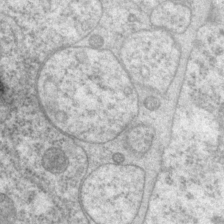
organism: P. pacificus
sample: Pharynx